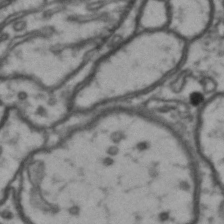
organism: Drosophila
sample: Brain